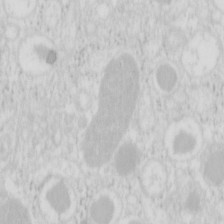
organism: Mouse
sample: Pancreas